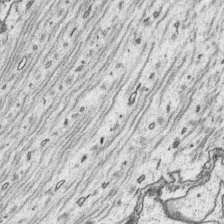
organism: Platynereis dumerilii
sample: Parapodia